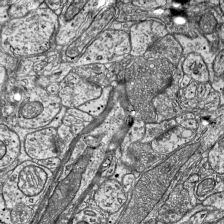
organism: Mouse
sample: Visual Cortex